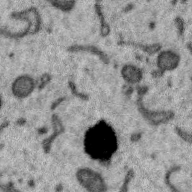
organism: Zebra finch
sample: Brain